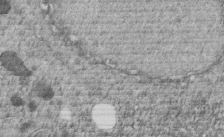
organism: C. elegans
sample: C. elegans embryo early stage